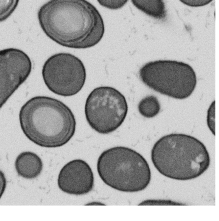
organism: B. subtilis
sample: Bacterial spore